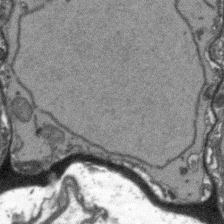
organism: Arabidopsis thaliana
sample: Root tip